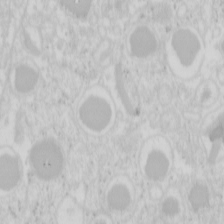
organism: Mouse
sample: Pancreas